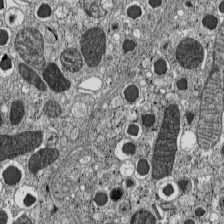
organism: C57BL Mouse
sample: Pancreatic islet